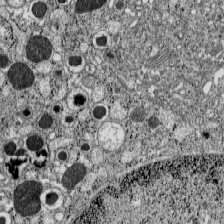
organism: C57BL Mouse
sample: Pancreatic islet